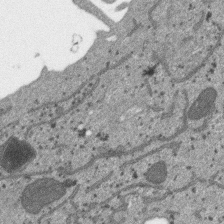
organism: Human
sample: Lung epithelial cells infected with SARS-CoV-2